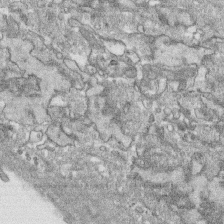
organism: Human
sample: CRL-1474